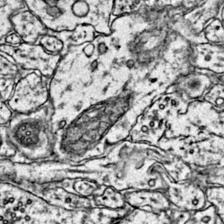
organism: Mouse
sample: Primary visual cortex